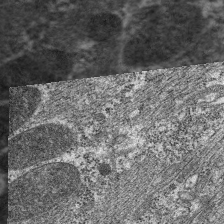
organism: C. elegans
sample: Pharynx